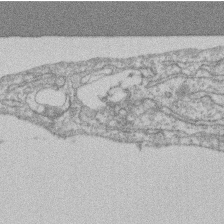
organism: Mouse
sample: T cell stromal cell synapse